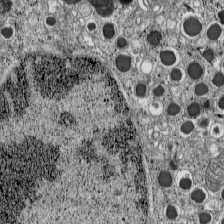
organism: C57BL Mouse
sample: Pancreatic islet